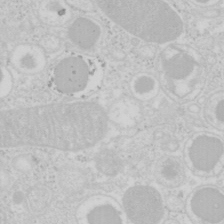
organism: Mouse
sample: Pancreas